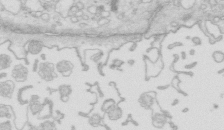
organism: Mouse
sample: Multiciliated cells